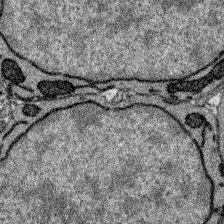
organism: Zebrafish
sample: Larval olfactory bulb